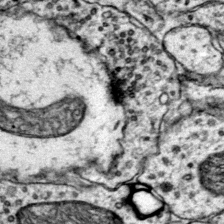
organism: Mouse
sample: Primary visual cortex